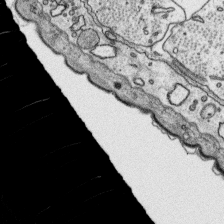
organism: Platynereis dumerilii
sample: Parapodia